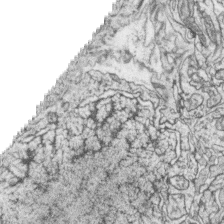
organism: Zebrafish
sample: synaptic ribbons in rod cells and cone cells